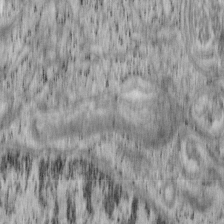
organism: Human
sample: HeLa cells